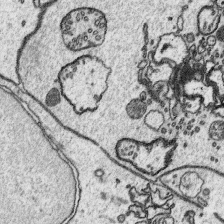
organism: Platynereis dumerilii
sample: Parapodia